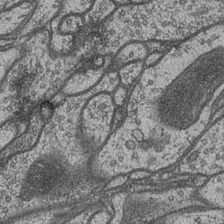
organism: Drosophila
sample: Optic medulla